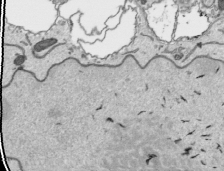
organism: Human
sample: Mitochondria in HCT116 cells